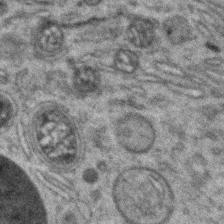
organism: Zebrafish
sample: Zebrafish embryo